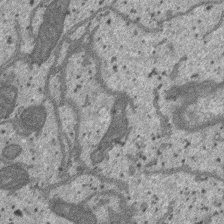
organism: Human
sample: Lung epithelial cells infected with SARS-CoV-2